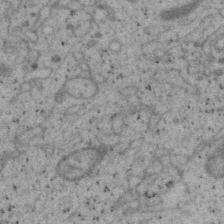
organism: Human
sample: HeLa cells